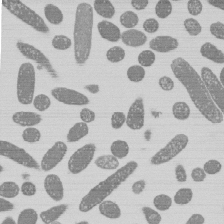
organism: E. coli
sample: Bacterial nucleoid